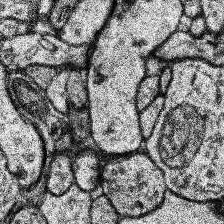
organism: Human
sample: Temporal Lobe